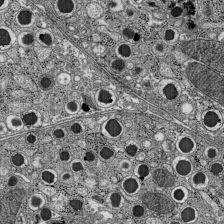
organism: C57BL Mouse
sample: Pancreatic islet